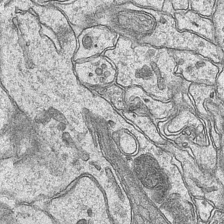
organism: Mouse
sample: CA1 Hippocampus